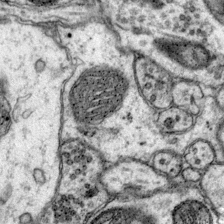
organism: Mouse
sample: Primary visual cortex